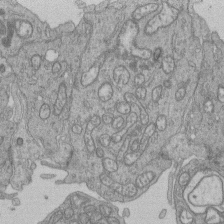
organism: Human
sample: Retinal organoid Rod and Cone cells